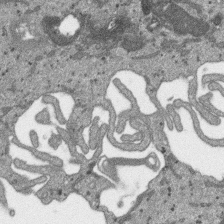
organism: Human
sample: Lung epithelial cells infected with SARS-CoV-2